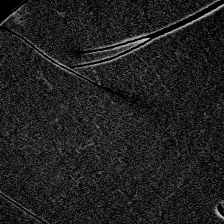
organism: Zebrafish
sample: Whole-Brain